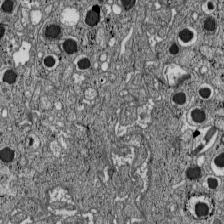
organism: C57BL Mouse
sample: Pancreatic islet